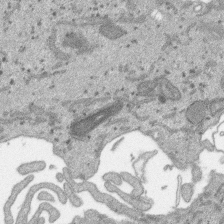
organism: Human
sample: Lung epithelial cells infected with SARS-CoV-2